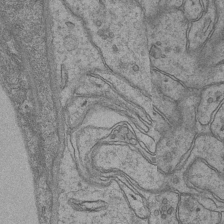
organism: Mouse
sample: CA1 Hippocampus